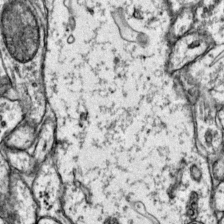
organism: Mouse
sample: Primary visual cortex